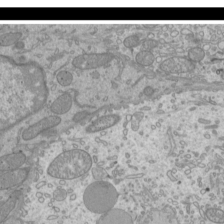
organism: Mouse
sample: Cilia; mouse epididymis